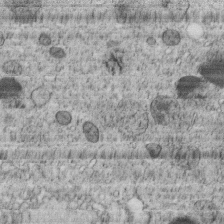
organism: C. elegans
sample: C. elegans embryo early stage